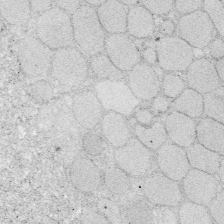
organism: Zebrafish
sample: Whole-Brain